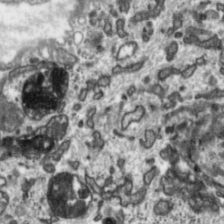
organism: Toxoplasma gondii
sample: Parasites in a vacuole inside a host cell